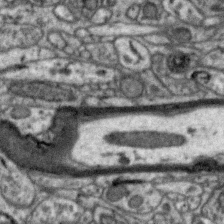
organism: Zebra finch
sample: Brain